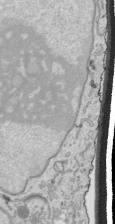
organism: Human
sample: Mitochondria in HCT116 cells